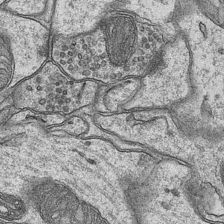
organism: Mouse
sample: CA1 Hippocampus